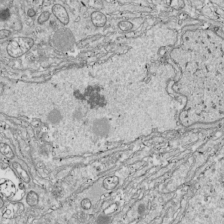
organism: Drosophila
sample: Cell division; meiosis; drosophila spermatocytes